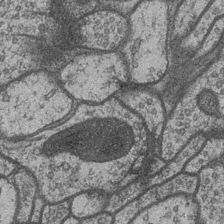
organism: Drosophila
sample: Optic medulla